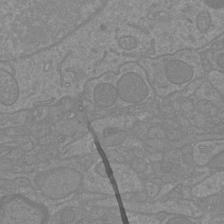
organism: Mouse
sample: Cortical neurons